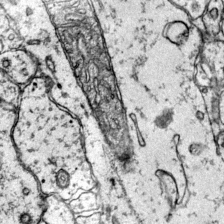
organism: Mouse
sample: Primary visual cortex